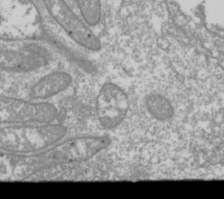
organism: Drosophila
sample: Cell division; meiosis; drosophila spermatocytes